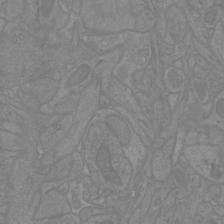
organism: Mouse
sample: Cortical neurons